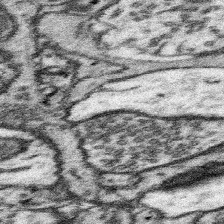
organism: Mouse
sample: Somatosensory cortex neuropil